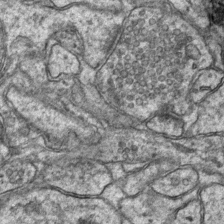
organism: Mouse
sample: CA1 Hippocampus